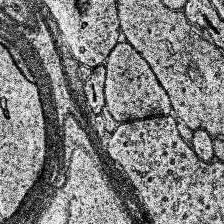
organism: Human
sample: Temporal Lobe